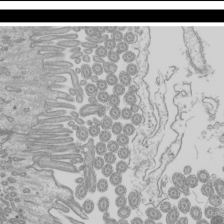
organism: Mouse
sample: Cilia; mouse epididymis